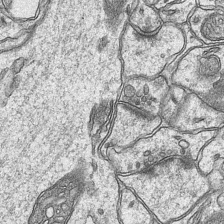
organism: Mouse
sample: CA1 Hippocampus